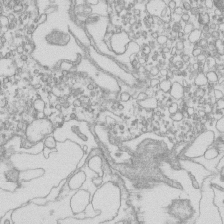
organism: Mouse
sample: Macrophages